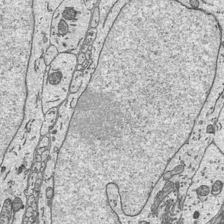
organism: Mouse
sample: Suprachiasmatic nucleus